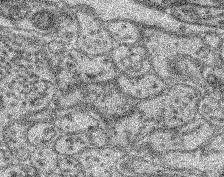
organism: Mouse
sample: Retina